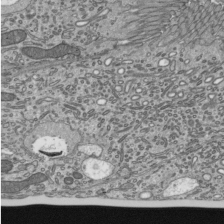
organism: Mouse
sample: Mouse epididymis efferent ductule cilia